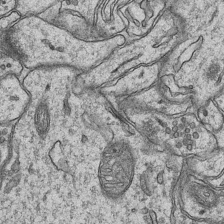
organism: Mouse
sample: CA1 Hippocampus